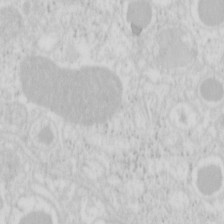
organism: Mouse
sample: Pancreas